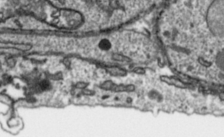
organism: Toxoplasma gondii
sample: Parasites in a vacuole inside a host cell